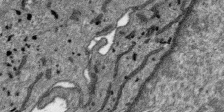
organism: Human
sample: Lung epithelial cells, uninfected (mock) control